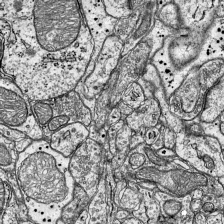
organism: Mouse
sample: Visual Cortex